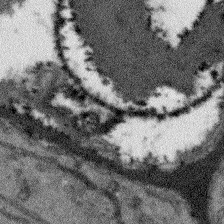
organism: Arabidopsis thaliana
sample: Root tip